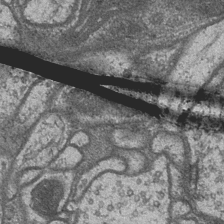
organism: Drosophila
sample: Optic medulla